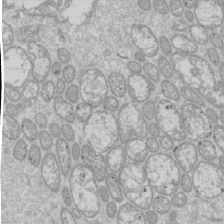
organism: Drosophila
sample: Cell division; meiosis; drosophila spermatocytes